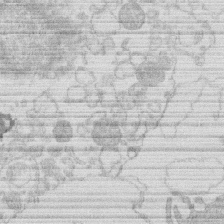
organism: Human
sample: Macrophage cells